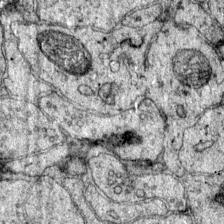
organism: Mouse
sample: Primary visual cortex